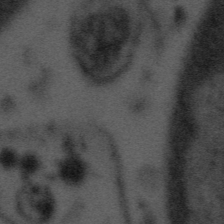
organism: Tuwongella immobilis